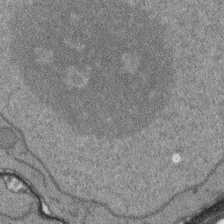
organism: Arabidopsis thaliana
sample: Root tip